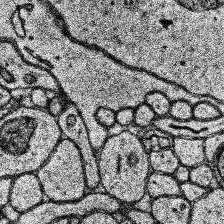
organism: Human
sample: Temporal Lobe